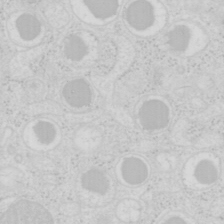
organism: Mouse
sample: Pancreas